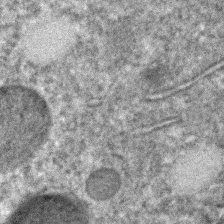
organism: C. elegans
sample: C. elegans embryo